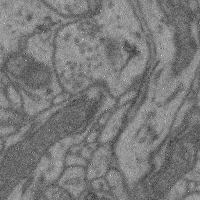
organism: Mouse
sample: Cerebral cortex